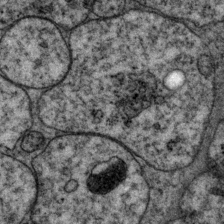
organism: P. pacificus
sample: Pharynx